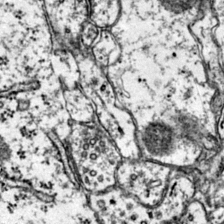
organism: Mouse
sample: Primary visual cortex